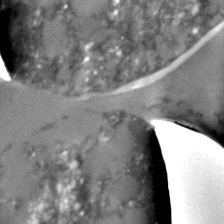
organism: C. elegans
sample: C. elegans embryo